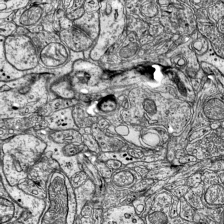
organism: Mouse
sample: Visual Cortex